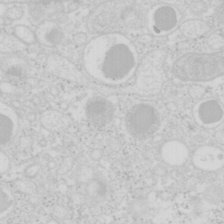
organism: Mouse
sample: Pancreas